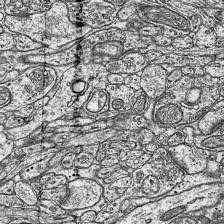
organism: Mouse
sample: Visual Cortex